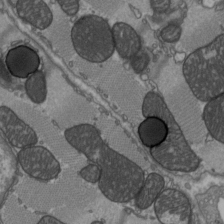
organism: C57BL Mouse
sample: Heart